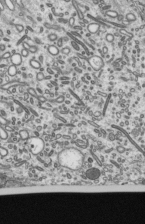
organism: Mouse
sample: Mouse epididymis efferent ductule cilia